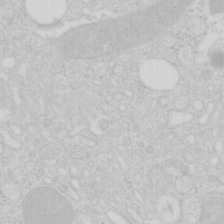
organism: Mouse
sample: Pancreas